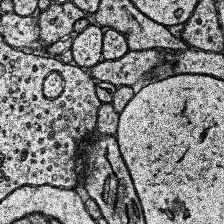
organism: Human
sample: Temporal Lobe